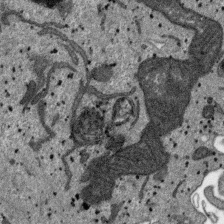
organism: Human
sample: Lung epithelial cells, uninfected (mock) control